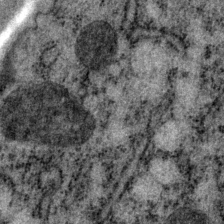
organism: P. pacificus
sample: Pharynx